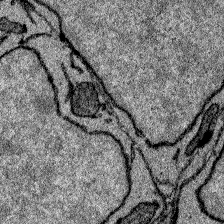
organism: Zebrafish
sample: Larval olfactory bulb